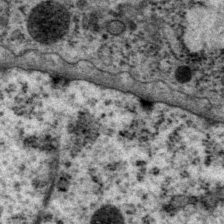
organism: P. pacificus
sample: Pharynx